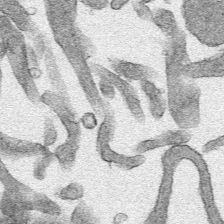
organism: Human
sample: Mitochondria in HCT116 cells